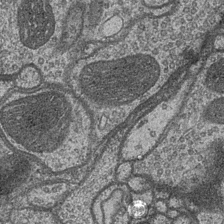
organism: Drosophila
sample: Optic medulla